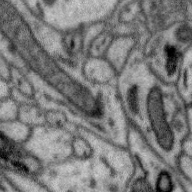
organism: Zebra finch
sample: Brain